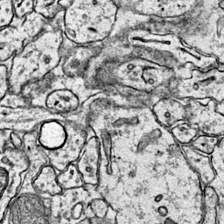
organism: Mouse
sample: Primary visual cortex